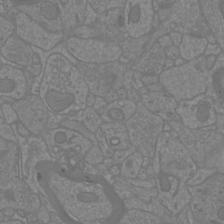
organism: Mouse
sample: Cortical neurons